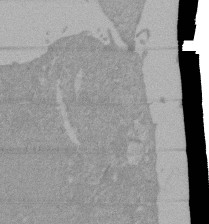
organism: Mouse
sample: ED-1 cell nuclei; centrioles